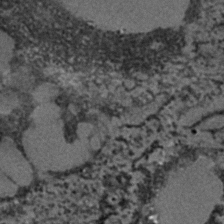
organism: C. elegans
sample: C. elegans embryo